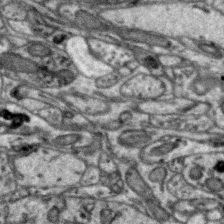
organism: Zebra finch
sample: Brain